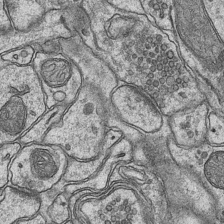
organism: Mouse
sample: CA1 Hippocampus